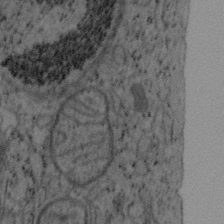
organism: Human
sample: HeLa cells